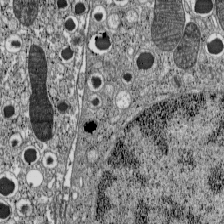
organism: C57BL Mouse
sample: Pancreatic islet